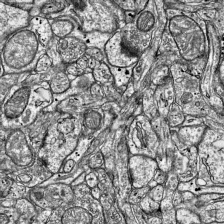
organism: Mouse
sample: Visual Cortex